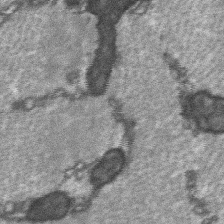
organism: C57BL Mouse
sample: Soleus